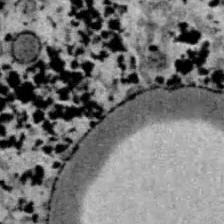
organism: Mouse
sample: Liver from an obese (ob/ob) mouse